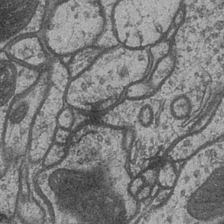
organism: Drosophila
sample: Optic medulla